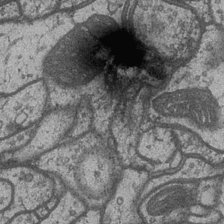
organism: Drosophila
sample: Optic medulla